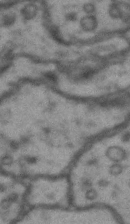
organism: Drosophila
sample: Brain